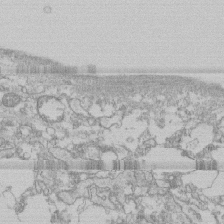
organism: Human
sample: CRL-1474